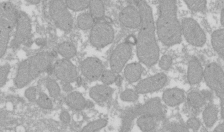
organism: Xenopus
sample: Cilia; centrioles in frog embryo cells